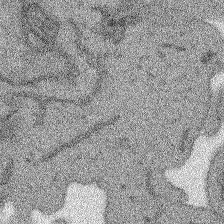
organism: Human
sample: HeLa cells